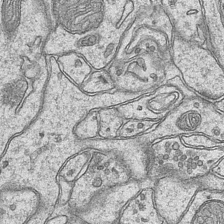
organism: Mouse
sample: CA1 Hippocampus